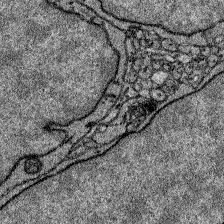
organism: Zebrafish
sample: Larval olfactory bulb